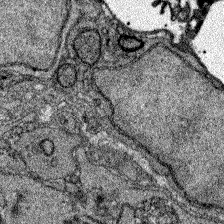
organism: Zebrafish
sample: Larval olfactory bulb